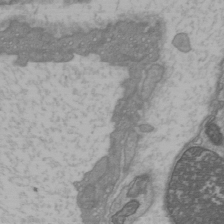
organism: C57BL Mouse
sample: Heart